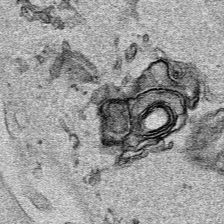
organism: Human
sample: Mitochondria in HCT116 cells